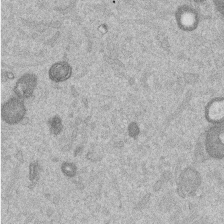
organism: Mouse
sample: Dividing mouse embryo 1 cell stage